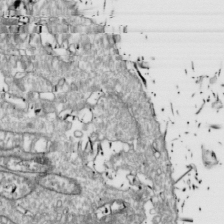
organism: Drosophila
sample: Cell division; meiosis; drosophila spermatocytes